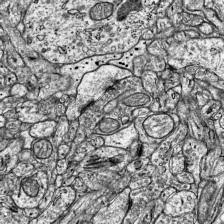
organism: Mouse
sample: Visual Cortex